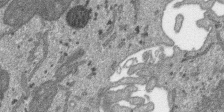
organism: Human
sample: Lung epithelial cells infected with SARS-CoV-2